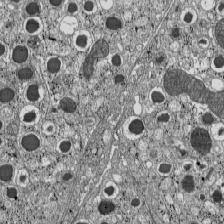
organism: C57BL Mouse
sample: Pancreatic islet